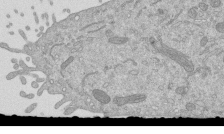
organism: Mouse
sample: ED-1 cell nuclei; centrioles